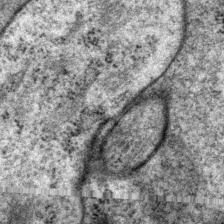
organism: P. pacificus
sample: Pharynx